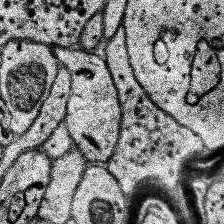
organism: Human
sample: Temporal Lobe